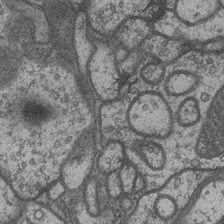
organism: Drosophila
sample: Optic medulla